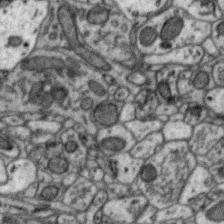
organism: Zebra finch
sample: Brain